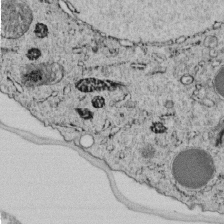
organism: C. elegans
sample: C. elegans embryo early stage